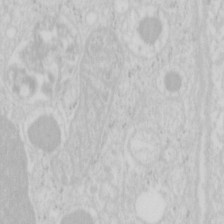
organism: Mouse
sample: Pancreas